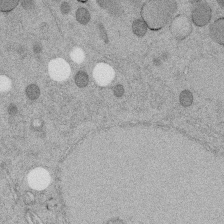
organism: C. elegans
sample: C. elegans embryo early stage